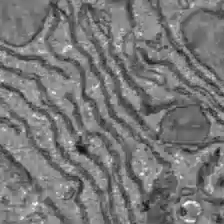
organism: C57BL Mouse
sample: Liver